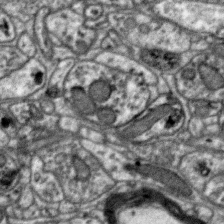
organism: Zebra finch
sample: Brain